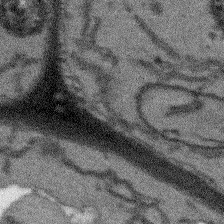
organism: Arabidopsis thaliana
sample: Root tip